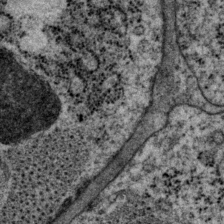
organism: P. pacificus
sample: Pharynx